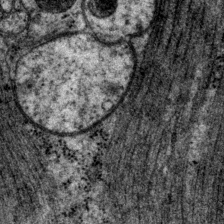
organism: P. pacificus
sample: Pharynx